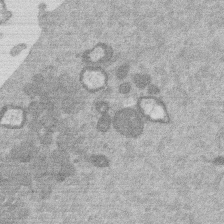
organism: Mouse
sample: Dividing mouse embryo 1 cell stage